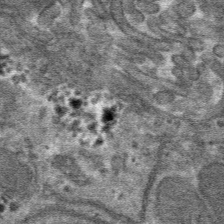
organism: Mouse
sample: Mouse hepatocytes